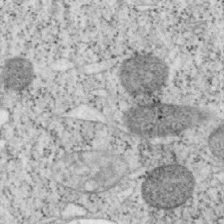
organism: Mouse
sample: OT-I killer T cells with ID8 ovarian cancer cells